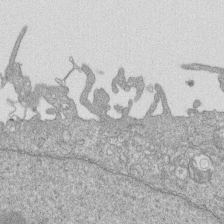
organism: Human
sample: HeLa cell HIV synapse